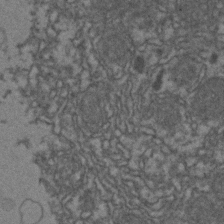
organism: Zebrafish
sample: Zebrafish embryo